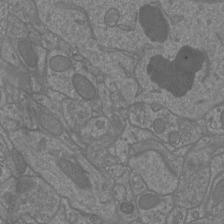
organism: Mouse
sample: Cortical neurons